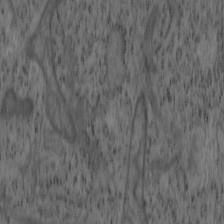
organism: Human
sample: HeLa cells